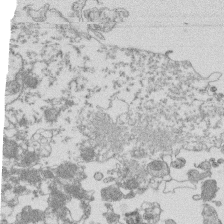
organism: Human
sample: HeLa cell HIV synapse